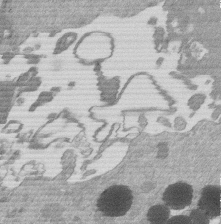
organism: Mouse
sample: Dividing mouse embryo 1 cell stage